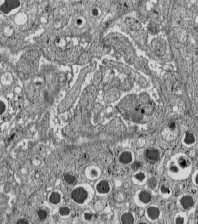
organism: C57BL Mouse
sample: Pancreatic islet